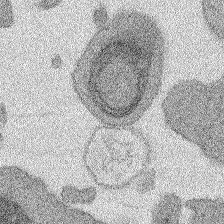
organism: Human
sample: HeLa cells